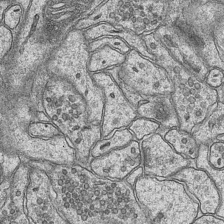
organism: Mouse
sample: CA1 Hippocampus